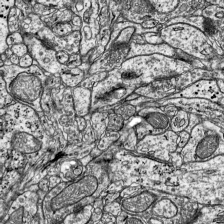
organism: Mouse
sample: Visual Cortex